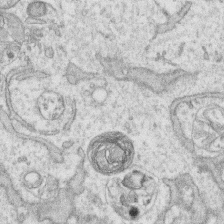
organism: Human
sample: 1205lu cells